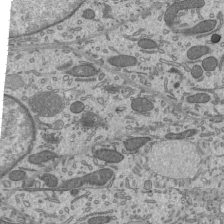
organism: Mouse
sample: Mouse epididymis efferent ductule cilia